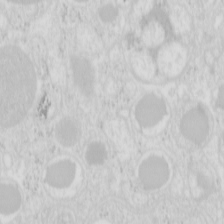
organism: Mouse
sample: Pancreas